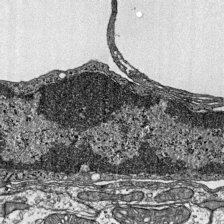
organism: Mouse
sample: Visual Cortex